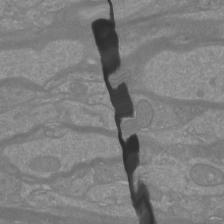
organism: Mouse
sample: Cortical neurons